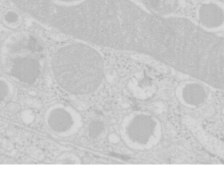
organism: Mouse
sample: Pancreas